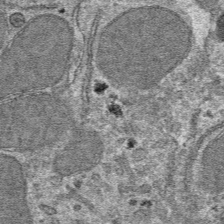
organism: Mouse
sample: Mouse hepatocytes